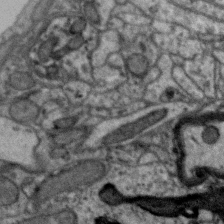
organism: Zebra finch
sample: Brain